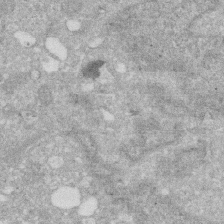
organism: Human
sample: HIV infected U937 cells